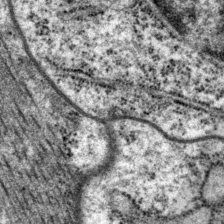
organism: P. pacificus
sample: Pharynx